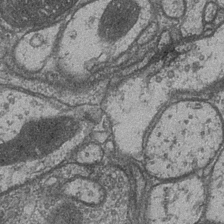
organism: Drosophila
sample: Optic medulla